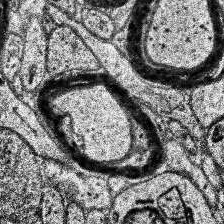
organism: Human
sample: Temporal Lobe